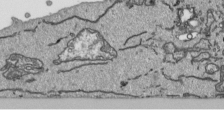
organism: Human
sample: Mitochondria in HCT116 cells